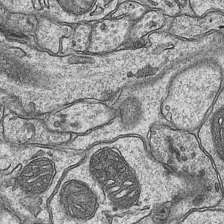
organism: Mouse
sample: CA1 Hippocampus